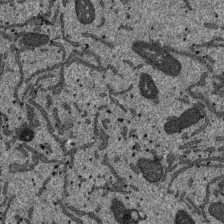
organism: Human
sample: Lung epithelial cells infected with SARS-CoV-2